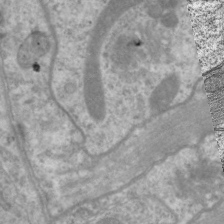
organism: C. elegans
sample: Pharynx